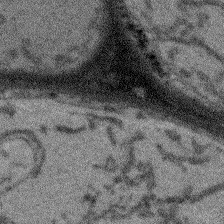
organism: Arabidopsis thaliana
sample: Root tip